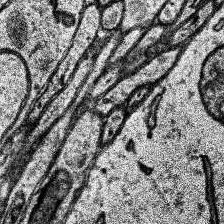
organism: Human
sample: Temporal Lobe